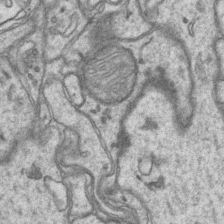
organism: Mouse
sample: CA1 Hippocampus